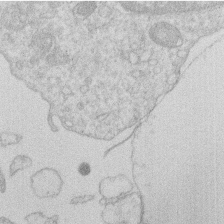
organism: Human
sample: Macrophage cells